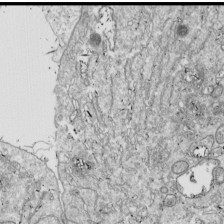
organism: Drosophila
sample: Cell division; meiosis; drosophila spermatocytes